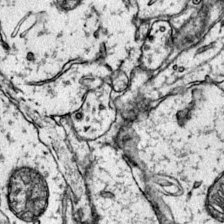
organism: Mouse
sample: Primary visual cortex